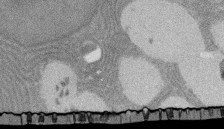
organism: Rat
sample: Salivary granule